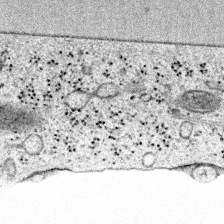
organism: Human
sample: HeLa cells